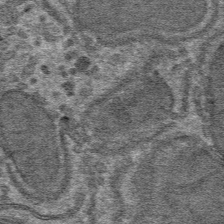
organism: Mouse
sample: Mouse hepatocytes